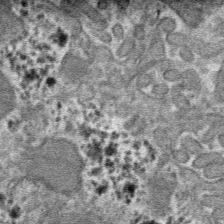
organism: Mouse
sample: Mouse hepatocytes